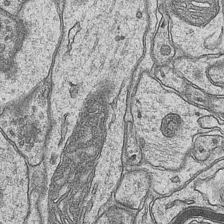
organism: Mouse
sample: CA1 Hippocampus